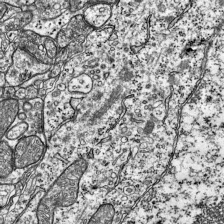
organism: Mouse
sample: Visual Cortex